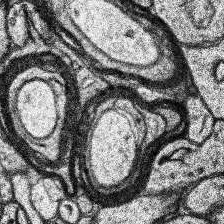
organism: Human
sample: Temporal Lobe